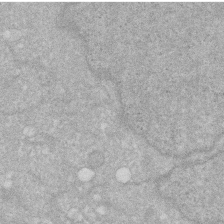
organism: Human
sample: HIV infected U937 cells